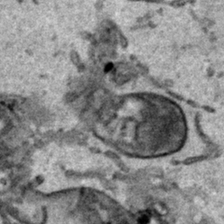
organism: Human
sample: Mitochondria in HCT116 cells